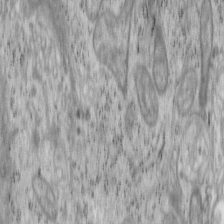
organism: Human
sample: HeLa cells